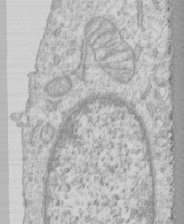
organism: Human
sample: CRL-1474